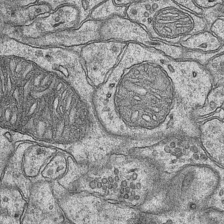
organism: Mouse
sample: CA1 Hippocampus